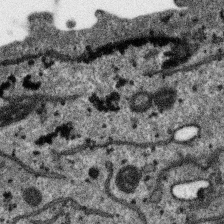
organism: Human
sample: Lung epithelial cells infected with SARS-CoV-2